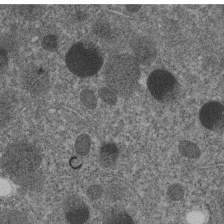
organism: C. elegans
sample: C. elegans embryo early stage